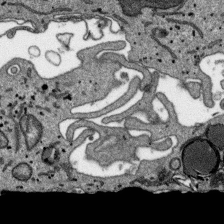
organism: Human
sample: Lung epithelial cells, uninfected (mock) control